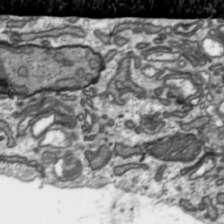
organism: Toxoplasma gondii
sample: Parasites in a vacuole inside a host cell